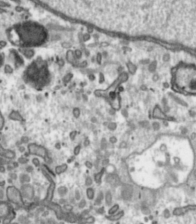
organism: Toxoplasma gondii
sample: Parasites in a vacuole inside a host cell